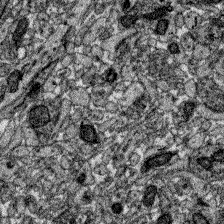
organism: Zebrafish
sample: Larval olfactory bulb